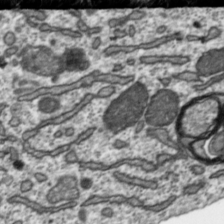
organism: Toxoplasma gondii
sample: Parasites in a vacuole inside a host cell